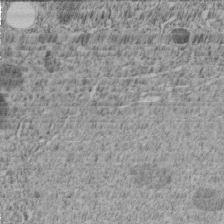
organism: C. elegans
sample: C. elegans embryo early stage